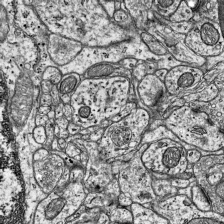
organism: Mouse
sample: Visual Cortex